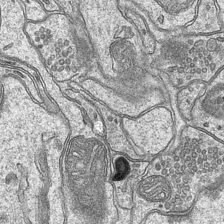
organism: Mouse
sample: CA1 Hippocampus